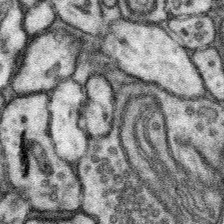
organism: Mouse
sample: Somatosensory cortex neuropil